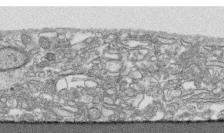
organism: Human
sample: CRL-1474